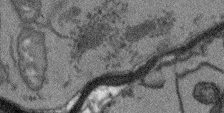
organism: Arabidopsis thaliana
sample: Root tip